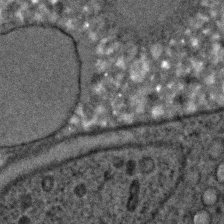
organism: C. elegans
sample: C. elegans embryo